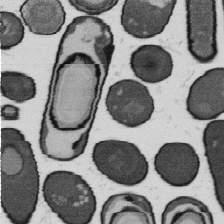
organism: B. subtilis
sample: Bacterial spore